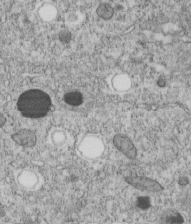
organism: C. elegans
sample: C. elegans embryo early stage